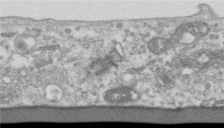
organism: Human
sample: Centriole in RPE cells